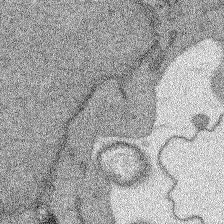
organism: Human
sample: HeLa cells